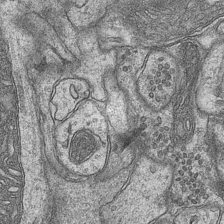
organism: Mouse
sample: CA1 Hippocampus